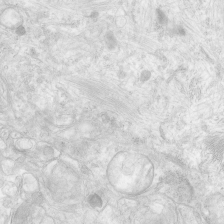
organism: Human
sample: Neocortex